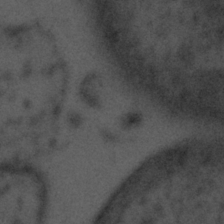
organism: Tuwongella immobilis